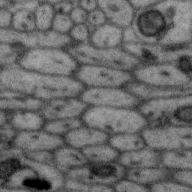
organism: Zebra finch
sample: Brain